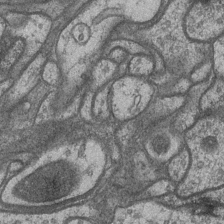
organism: Drosophila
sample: Optic medulla